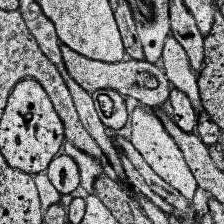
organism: Human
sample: Temporal Lobe